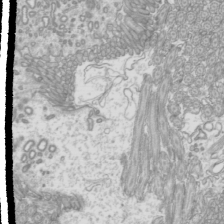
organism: Mouse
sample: Cilia; mouse epididymis